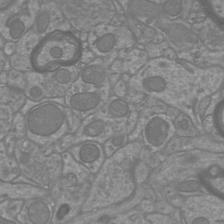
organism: Mouse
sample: Cortical neurons